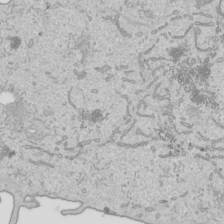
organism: Human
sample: Mitochondria in HCT116 cells